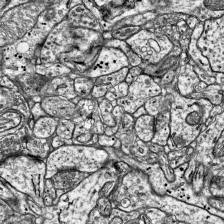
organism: Mouse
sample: Visual Cortex